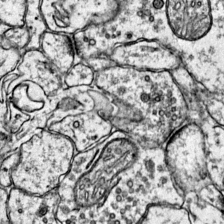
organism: Mouse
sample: Primary visual cortex